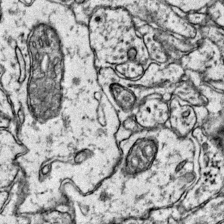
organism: Mouse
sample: Primary visual cortex